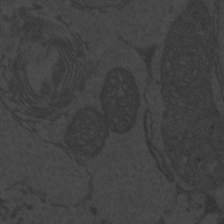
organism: Zebrafish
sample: Macrophage infected with Toxoplasma gondii